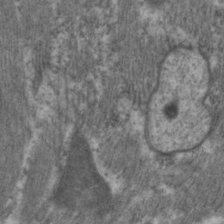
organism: C. elegans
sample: Pharynx